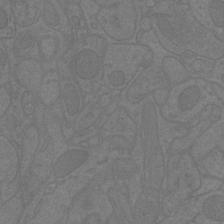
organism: Mouse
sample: Cortical neurons